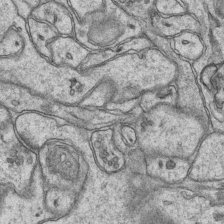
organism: Mouse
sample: CA1 Hippocampus